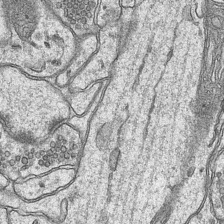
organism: Mouse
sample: CA1 Hippocampus